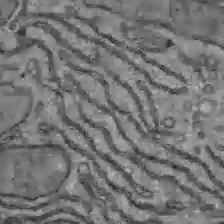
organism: C57BL Mouse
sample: Liver